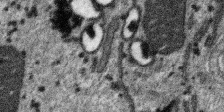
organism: Human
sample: Lung epithelial cells infected with SARS-CoV-2